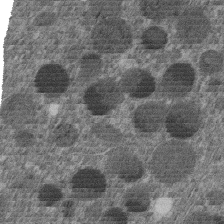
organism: C. elegans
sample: C. elegans embryo early stage